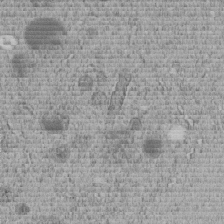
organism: C. elegans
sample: C. elegans embryo early stage